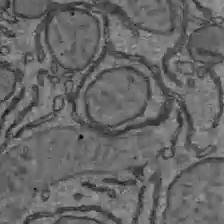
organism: C57BL Mouse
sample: Liver